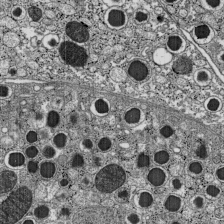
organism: C57BL Mouse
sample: Pancreatic islet